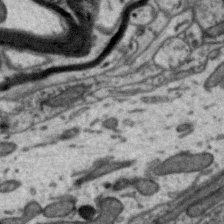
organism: Zebra finch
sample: Brain